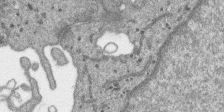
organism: Human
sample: Lung epithelial cells infected with SARS-CoV-2